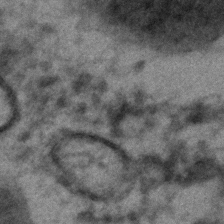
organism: C. elegans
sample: C. elegans embryo